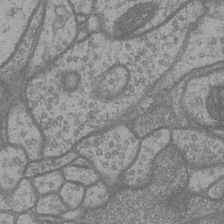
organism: Drosophila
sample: Optic medulla